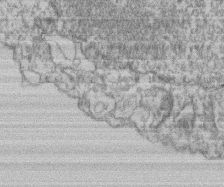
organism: Mouse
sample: T cell stromal cell synapse